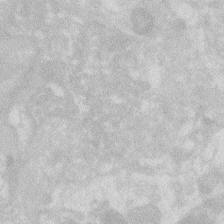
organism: Zebrafish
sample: Macrophage